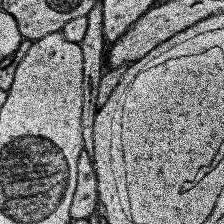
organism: Human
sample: Temporal Lobe